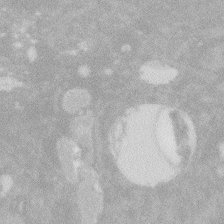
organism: Zebrafish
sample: Macrophage